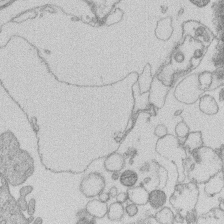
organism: Human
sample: Macrophage cells